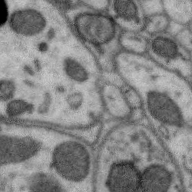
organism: Zebra finch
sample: Brain